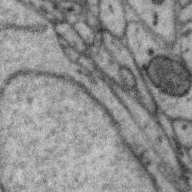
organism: Zebra finch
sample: Brain